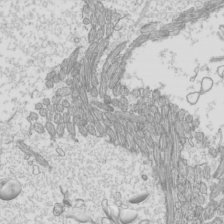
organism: Mouse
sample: Cilia; mouse epididymis